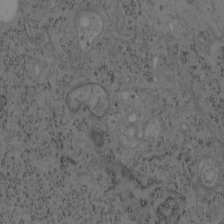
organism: Mouse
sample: OT-I killer T cells with ID8 ovarian cancer cells